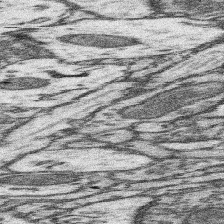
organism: Mouse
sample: Somatosensory cortex neuropil